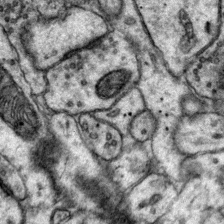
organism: Mouse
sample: Primary visual cortex